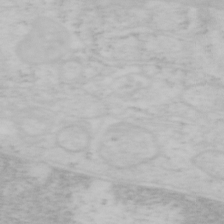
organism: Mouse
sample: OT-I killer T cells with ID8 ovarian cancer cells